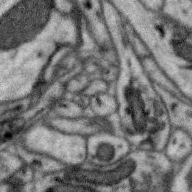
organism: Zebra finch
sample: Brain